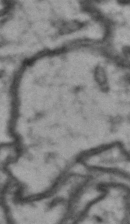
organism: Drosophila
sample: Brain